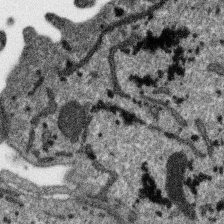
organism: Human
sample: Lung epithelial cells infected with SARS-CoV-2